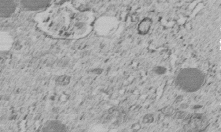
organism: C. elegans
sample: C. elegans embryo early stage